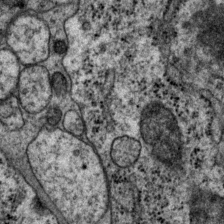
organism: P. pacificus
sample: Pharynx